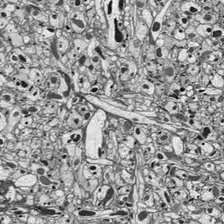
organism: Drosophila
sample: Optic lobe